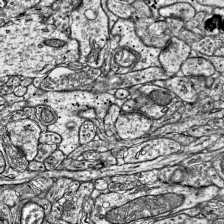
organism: Mouse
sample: Visual Cortex